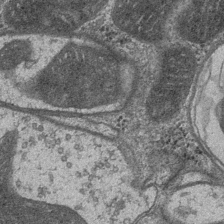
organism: Drosophila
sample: Optic medulla